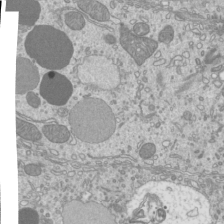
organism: Mouse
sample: Cilia; mouse epididymis